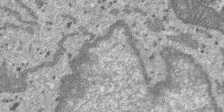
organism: Human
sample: Lung epithelial cells infected with SARS-CoV-2